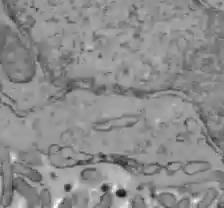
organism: C57BL Mouse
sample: Liver